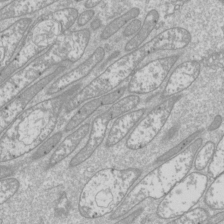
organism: Drosophila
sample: Cell division; meiosis; drosophila spermatocytes